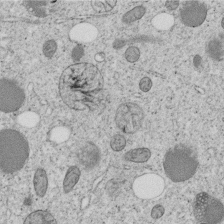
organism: C. elegans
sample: C. elegans embryo early stage